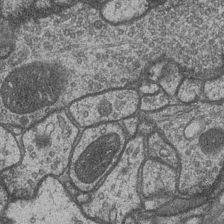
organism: Drosophila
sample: Optic medulla